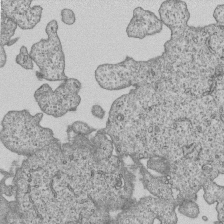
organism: Human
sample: MDA-MB-231 cells